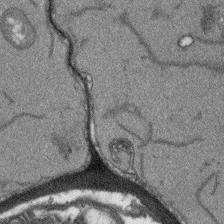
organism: Arabidopsis thaliana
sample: Root tip